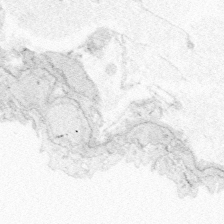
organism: Zebrafish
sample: Whole-Brain